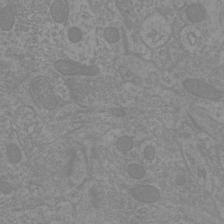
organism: Mouse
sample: Cortical neurons